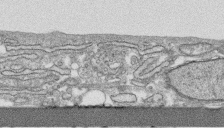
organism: Human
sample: CRL-1474